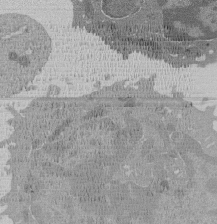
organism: Mouse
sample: Activated Pmel transgenic CD8+ T Cells